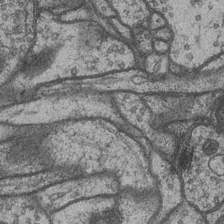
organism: Drosophila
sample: Optic medulla